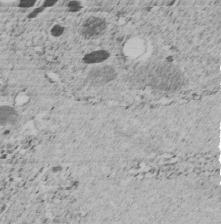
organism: C. elegans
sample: C. elegans embryo early stage